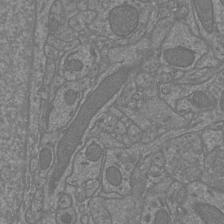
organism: Mouse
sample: Cortical neurons